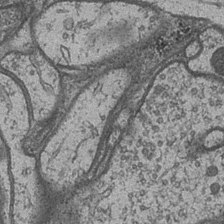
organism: Drosophila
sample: Optic medulla